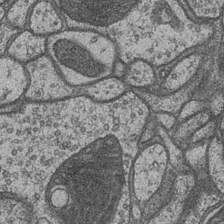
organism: Drosophila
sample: Optic medulla